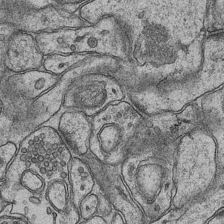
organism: Mouse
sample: CA1 Hippocampus